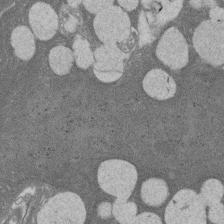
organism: Rat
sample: Salivary granule